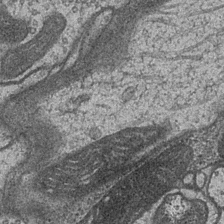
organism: Drosophila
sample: Optic medulla